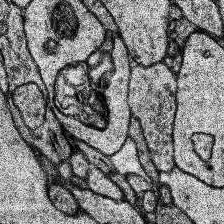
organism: Human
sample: Temporal Lobe